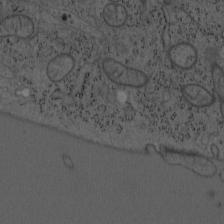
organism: Mouse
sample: OT-I killer T cells with ID8 ovarian cancer cells